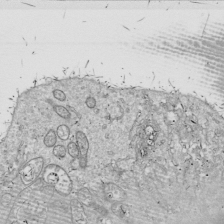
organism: Drosophila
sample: Cell division; meiosis; drosophila spermatocytes